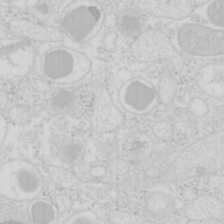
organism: Mouse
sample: Pancreas